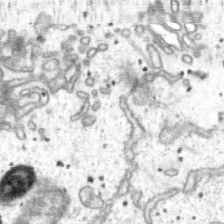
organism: Human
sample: HeLa cells